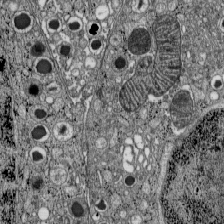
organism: C57BL Mouse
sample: Pancreatic islet